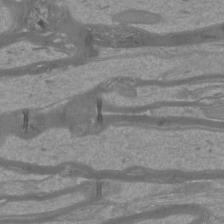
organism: Mouse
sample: Cortical neurons